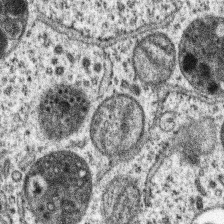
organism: Human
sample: HeLa cells